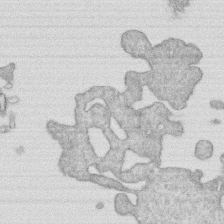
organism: Human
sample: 1205lu cells